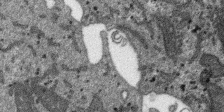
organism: Human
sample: Lung epithelial cells infected with SARS-CoV-2